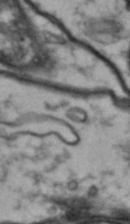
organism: Drosophila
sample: Brain